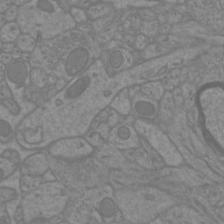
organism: Mouse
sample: Cortical neurons